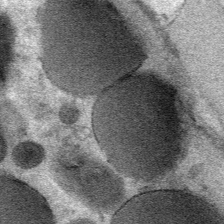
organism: Mouse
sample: Mouse Salivary gland